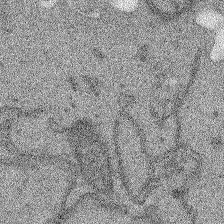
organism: Human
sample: HeLa cells